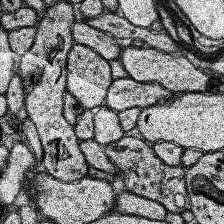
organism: Human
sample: Temporal Lobe